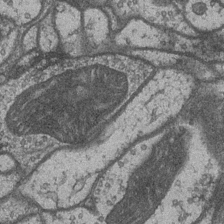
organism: Drosophila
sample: Optic medulla